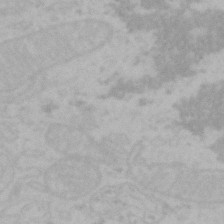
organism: Mouse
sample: Choroid plexus